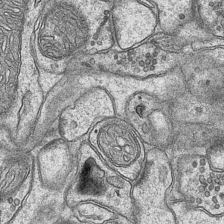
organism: Mouse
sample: CA1 Hippocampus